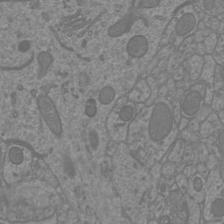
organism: Mouse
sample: Cortical neurons